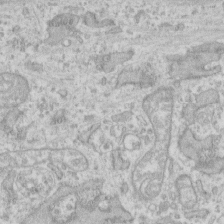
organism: Human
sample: Fibroblast cells